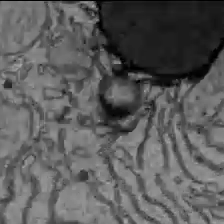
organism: C57BL Mouse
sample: Liver